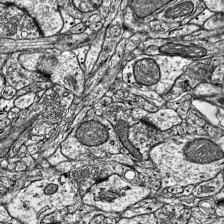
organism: Mouse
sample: Visual Cortex